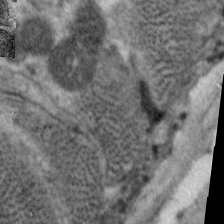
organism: C. elegans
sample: Pharynx